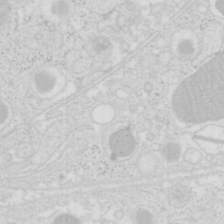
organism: Mouse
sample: Pancreas